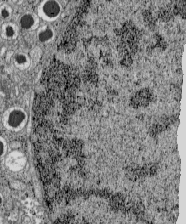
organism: C57BL Mouse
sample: Pancreatic islet